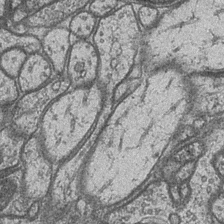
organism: Drosophila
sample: Optic medulla